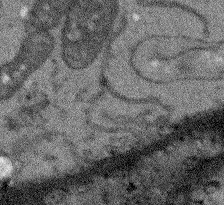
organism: Arabidopsis thaliana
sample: Root tip